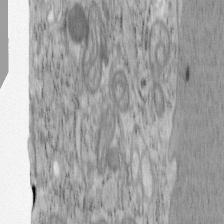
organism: Human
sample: HeLa cells